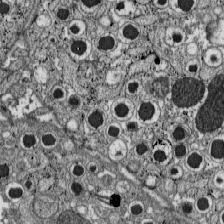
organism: C57BL Mouse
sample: Pancreatic islet